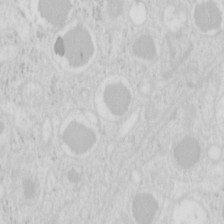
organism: Mouse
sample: Pancreas